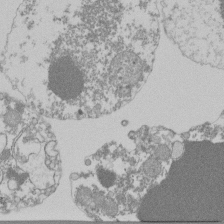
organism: Mouse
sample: Activated Pmel transgenic CD8+ T Cells